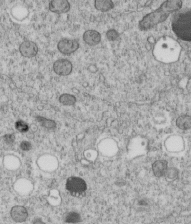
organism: C. elegans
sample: C. elegans embryo early stage